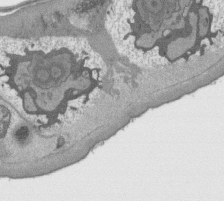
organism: C. elegans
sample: AFD neurons C. elegans